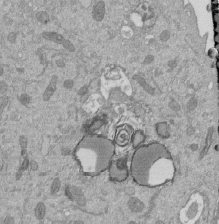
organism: Mouse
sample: ED-1 cell nuclei; centrioles